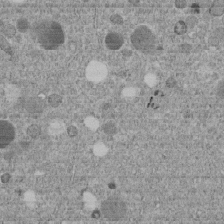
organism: C. elegans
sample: C. elegans embryo early stage